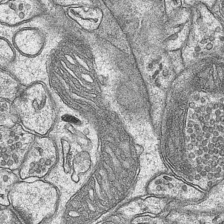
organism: Mouse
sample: CA1 Hippocampus